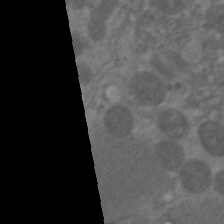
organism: C. elegans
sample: Pharynx